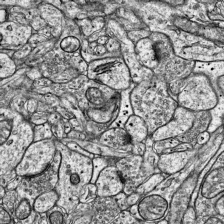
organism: Mouse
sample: Visual Cortex